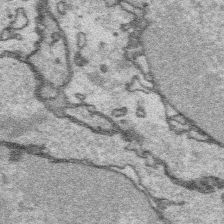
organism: Platynereis dumerilii